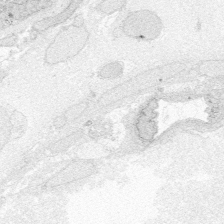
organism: Zebrafish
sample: Whole-Brain